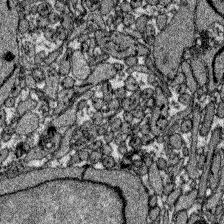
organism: Zebrafish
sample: Larval olfactory bulb